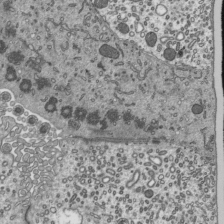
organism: Mouse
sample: Mouse epididymis efferent ductule cilia